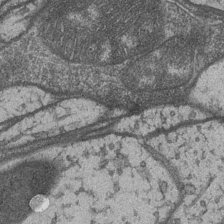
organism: Drosophila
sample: Optic medulla